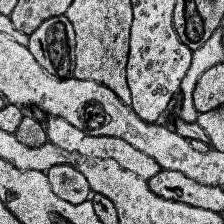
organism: Human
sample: Temporal Lobe